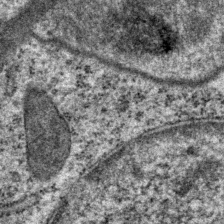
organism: P. pacificus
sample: Pharynx